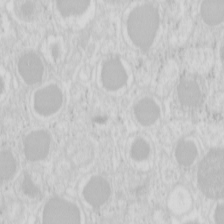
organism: Mouse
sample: Pancreas